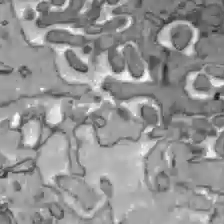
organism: C57BL Mouse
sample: Liver